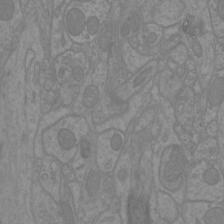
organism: Mouse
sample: Cortical neurons